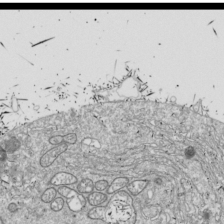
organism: Drosophila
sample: Cell division; meiosis; drosophila spermatocytes